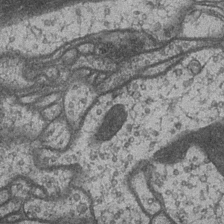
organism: Drosophila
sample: Optic medulla